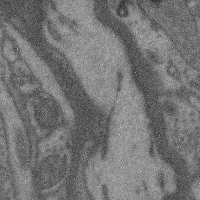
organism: Mouse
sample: Cerebral cortex